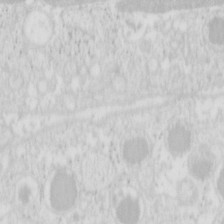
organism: Mouse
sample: Pancreas